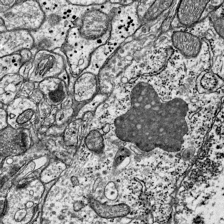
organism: Mouse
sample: Visual Cortex